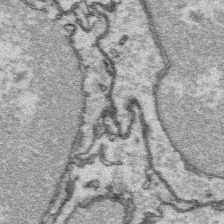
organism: Platynereis dumerilii